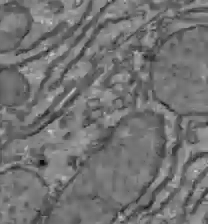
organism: C57BL Mouse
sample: Liver